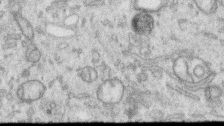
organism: Human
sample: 1205lu cells